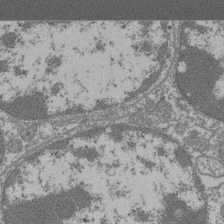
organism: Mouse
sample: Glomerulus